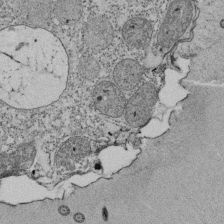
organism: Tetrahymena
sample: Cilia in tetrahymena